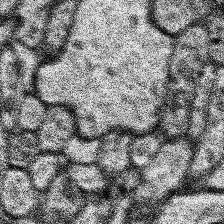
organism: Human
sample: Temporal Lobe